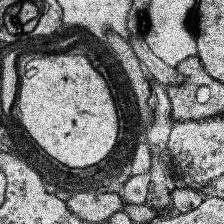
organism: Human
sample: Temporal Lobe